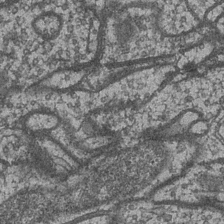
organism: Drosophila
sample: Optic medulla